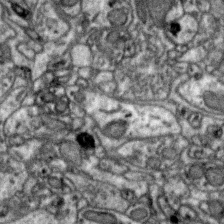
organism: Zebra finch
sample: Brain